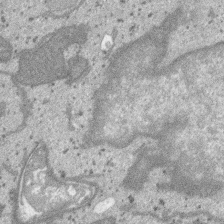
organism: Human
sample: Lung epithelial cells infected with SARS-CoV-2